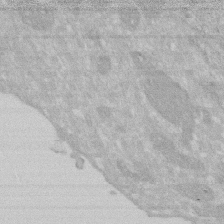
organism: Human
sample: HIV infected U937 cells